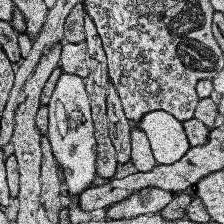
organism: Human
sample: Temporal Lobe